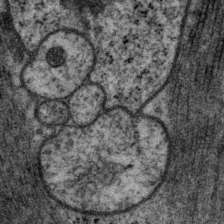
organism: P. pacificus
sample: Pharynx